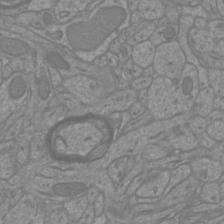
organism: Mouse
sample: Cortical neurons